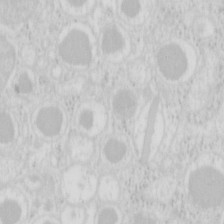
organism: Mouse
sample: Pancreas